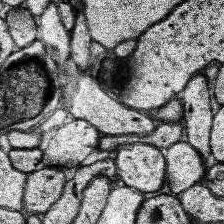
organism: Human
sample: Temporal Lobe